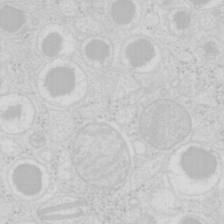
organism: Mouse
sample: Pancreas